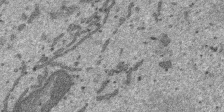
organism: Human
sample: Lung epithelial cells infected with SARS-CoV-2